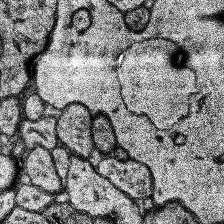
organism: Human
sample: Temporal Lobe